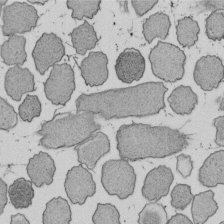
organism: E. coli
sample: Bacterial nucleoid